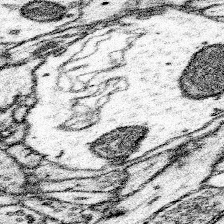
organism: Mouse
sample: Somatosensory cortex neuropil